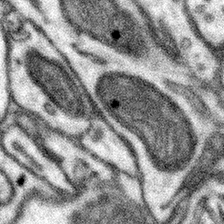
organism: Mouse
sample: Somatosensory cortex neuropil